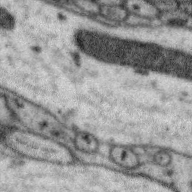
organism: Zebra finch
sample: Brain